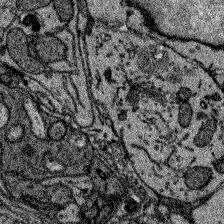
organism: Zebrafish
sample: Larval olfactory bulb